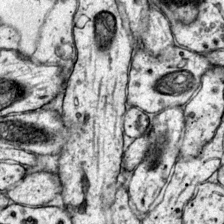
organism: Mouse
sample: Primary visual cortex